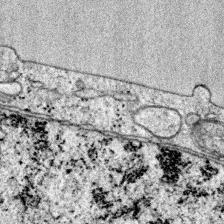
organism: Human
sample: HeLa cells